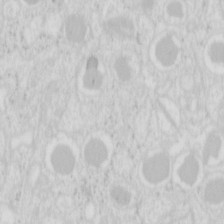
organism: Mouse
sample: Pancreas